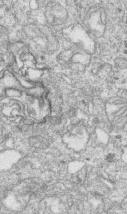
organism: Human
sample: HeLa cell HIV synapse